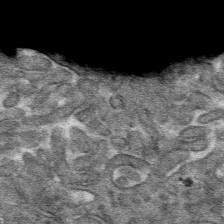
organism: Mouse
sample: Mouse hepatocytes